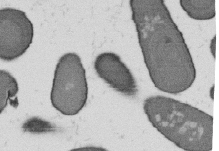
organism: B. subtilis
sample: Bacterial spore